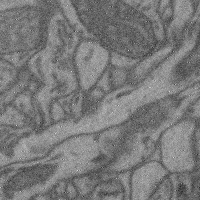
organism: Mouse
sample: Cerebral cortex